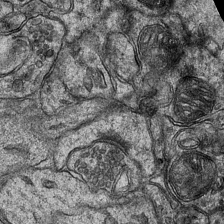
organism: Mouse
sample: CA1 Hippocampus